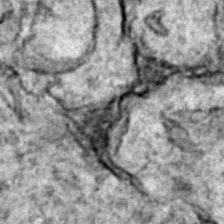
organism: Zebrafish